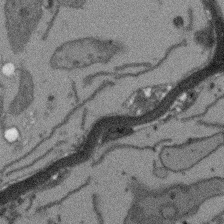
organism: Arabidopsis thaliana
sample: Root tip